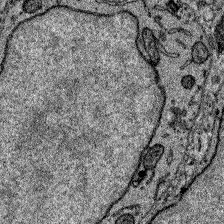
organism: Zebrafish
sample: Larval olfactory bulb